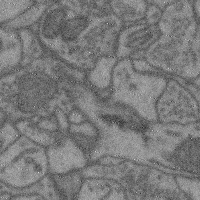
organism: Mouse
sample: Cerebral cortex